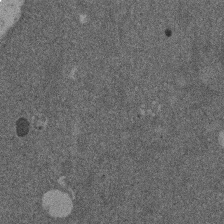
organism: Mouse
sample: Dividing mouse embryo 1 cell stage